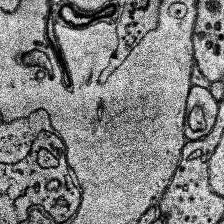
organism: Human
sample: Temporal Lobe